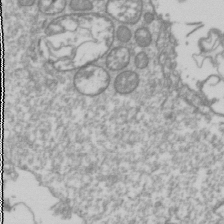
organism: Drosophila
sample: Cell division; meiosis; drosophila spermatocytes